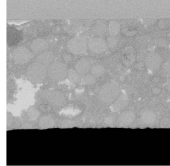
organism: C. elegans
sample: C. elegans oocyte; sperm cells